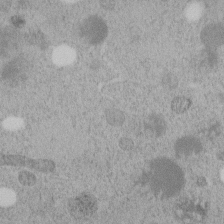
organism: C. elegans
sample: C. elegans embryo early stage